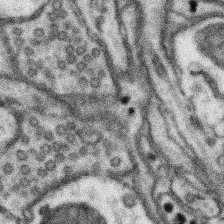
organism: Mouse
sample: Somatosensory cortex neuropil